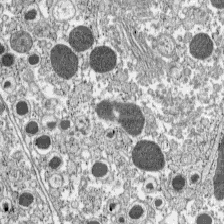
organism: C57BL Mouse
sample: Pancreatic islet